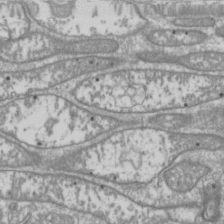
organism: Drosophila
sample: Cell division; meiosis; drosophila spermatocytes